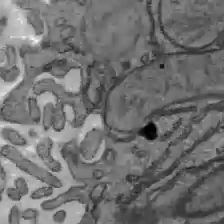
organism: C57BL Mouse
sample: Liver